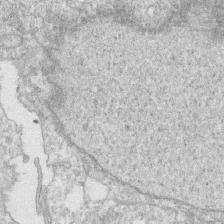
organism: Human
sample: HeLa cell HIV synapse